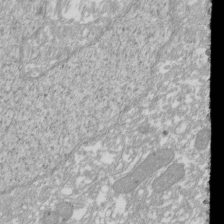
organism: Xenopus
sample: Cilia; centrioles in frog embryo cells